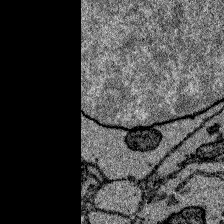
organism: Zebrafish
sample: Larval olfactory bulb